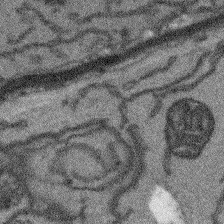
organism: Arabidopsis thaliana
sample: Root tip